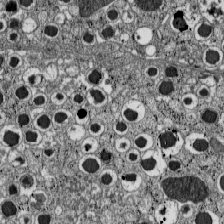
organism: C57BL Mouse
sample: Pancreatic islet